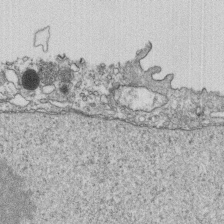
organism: Human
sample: HeLa cell HIV synapse